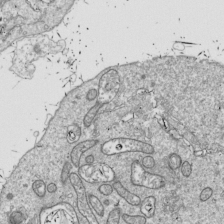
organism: Drosophila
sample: Cell division; meiosis; drosophila spermatocytes